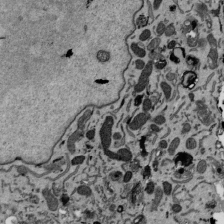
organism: Mouse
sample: ED-1 cell nuclei; centrioles